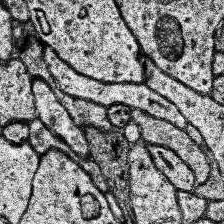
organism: Human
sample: Temporal Lobe